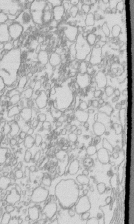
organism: Mouse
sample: Macrophages